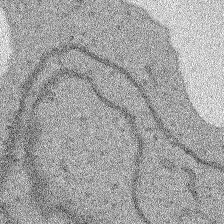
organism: Human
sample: HeLa cells